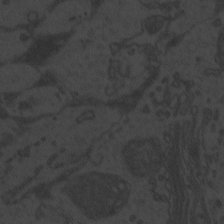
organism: Zebrafish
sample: Macrophage infected with Toxoplasma gondii